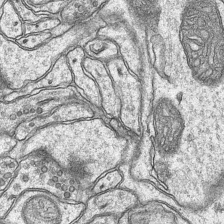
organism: Mouse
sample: CA1 Hippocampus